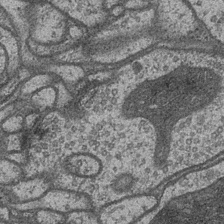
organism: Drosophila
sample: Optic medulla